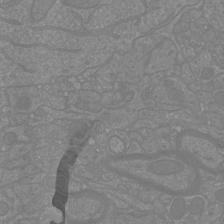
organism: Mouse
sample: Cortical neurons